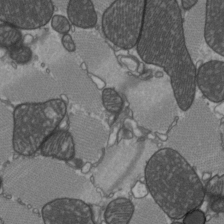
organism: C57BL Mouse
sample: Heart